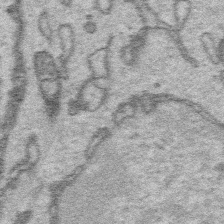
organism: Platynereis dumerilii